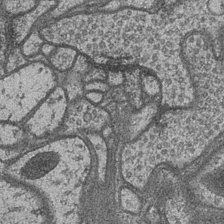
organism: Drosophila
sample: Optic medulla